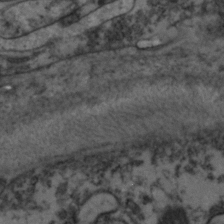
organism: Zebrafish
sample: Zebrafish embryo